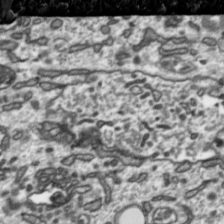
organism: Toxoplasma gondii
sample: Parasites in a vacuole inside a host cell